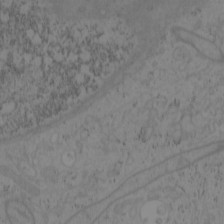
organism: Human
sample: HeLa cells